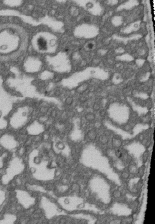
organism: Drosophila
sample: Nephrocyte